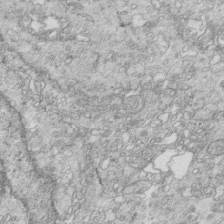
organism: Mouse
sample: Multiciliated cells